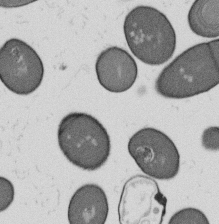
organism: B. subtilis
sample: Bacterial spore